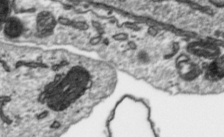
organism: Toxoplasma gondii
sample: Parasites in a vacuole inside a host cell